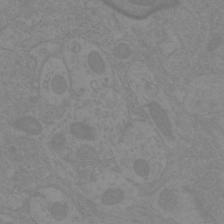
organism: Mouse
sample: Cortical neurons